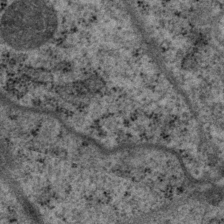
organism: P. pacificus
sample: Pharynx